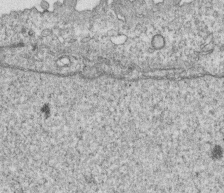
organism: Human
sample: HeLa cell HIV synapse